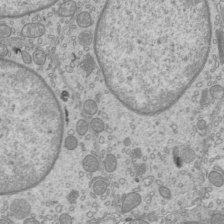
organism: Mouse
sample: Cilia; mouse epididymis